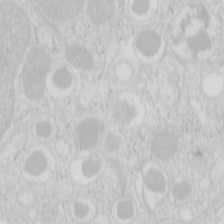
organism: Mouse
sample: Pancreas